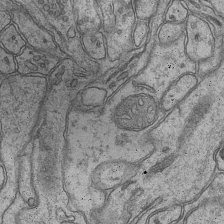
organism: Mouse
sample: CA1 Hippocampus